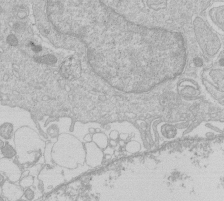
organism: Human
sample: Macrophage cells